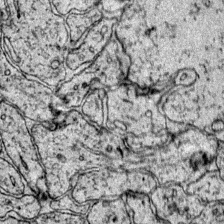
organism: Mouse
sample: Primary visual cortex